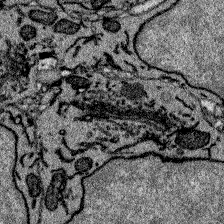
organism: Zebrafish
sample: Larval olfactory bulb